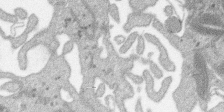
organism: Human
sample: Lung epithelial cells infected with SARS-CoV-2